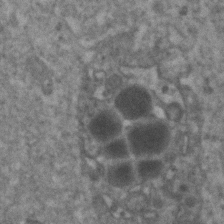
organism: Human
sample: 1205lu cells